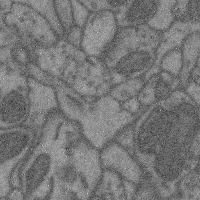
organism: Mouse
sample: Cerebral cortex